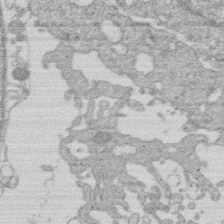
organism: Human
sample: Macrophage cells